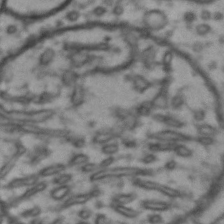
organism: Drosophila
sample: Brain